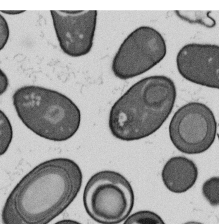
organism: B. subtilis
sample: Bacterial spore